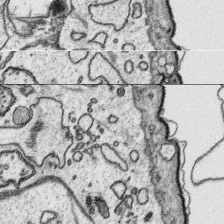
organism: Platynereis dumerilii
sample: Parapodia